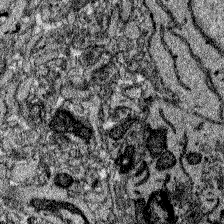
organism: Zebrafish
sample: Larval olfactory bulb